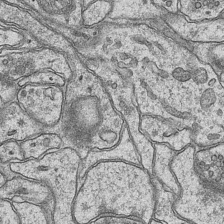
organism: Mouse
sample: CA1 Hippocampus